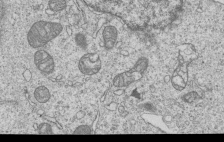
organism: Human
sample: MDA-MB-231 cells